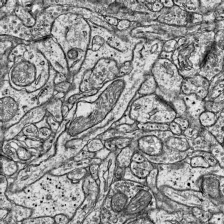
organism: Mouse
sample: Visual Cortex